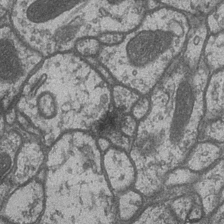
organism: Drosophila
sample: Optic medulla